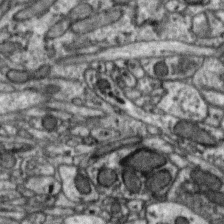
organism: Zebra finch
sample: Brain